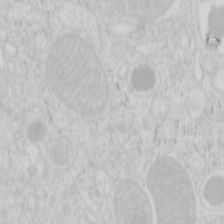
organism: Mouse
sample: Pancreas